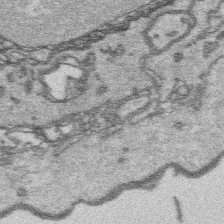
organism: Platynereis dumerilii